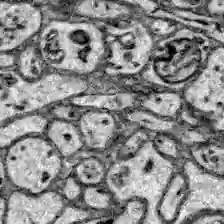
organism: Zebrafish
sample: Brain